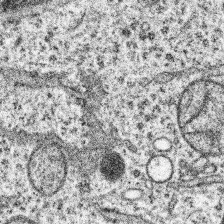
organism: Human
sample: HeLa cells